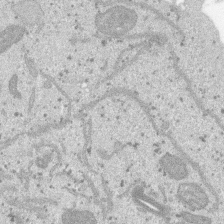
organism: Human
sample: Lung epithelial cells infected with SARS-CoV-2